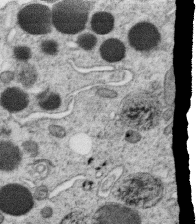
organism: C. elegans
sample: C. elegans oocyte; sperm cells